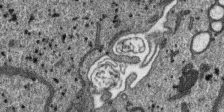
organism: Human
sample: Lung epithelial cells infected with SARS-CoV-2